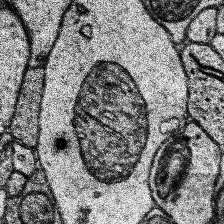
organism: Human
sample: Temporal Lobe